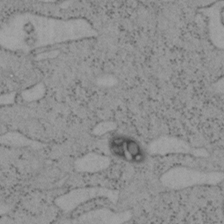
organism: Mouse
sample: OT-I killer T cells with ID8 ovarian cancer cells